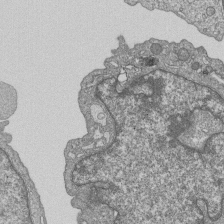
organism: Human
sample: MDA-MB-231 cells